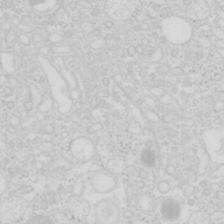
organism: Mouse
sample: Pancreas